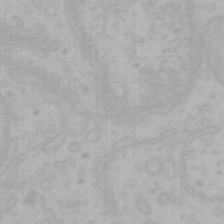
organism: Mouse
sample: Choroid plexus